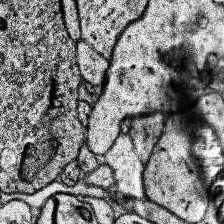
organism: Human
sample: Temporal Lobe